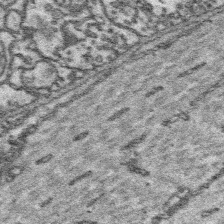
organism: Platynereis dumerilii